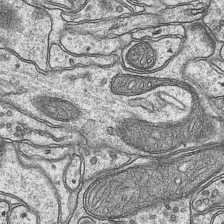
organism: Mouse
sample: CA1 Hippocampus